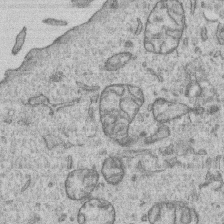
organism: Human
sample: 1205lu cells